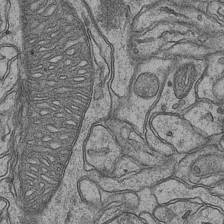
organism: Mouse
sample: CA1 Hippocampus